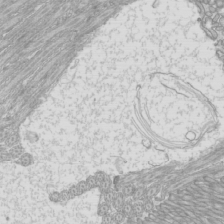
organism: Mouse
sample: Cilia; mouse epididymis